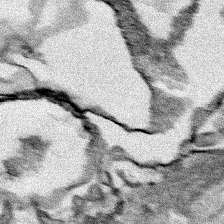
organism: Human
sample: Mitochondria in HCT116 cells